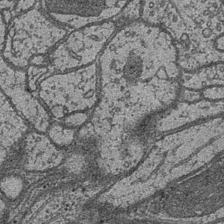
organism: Drosophila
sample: Optic medulla